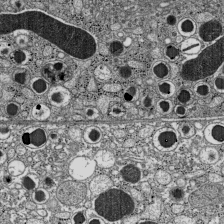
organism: C57BL Mouse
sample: Pancreatic islet